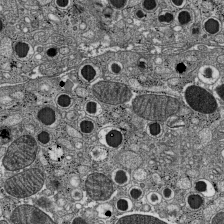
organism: C57BL Mouse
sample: Pancreatic islet